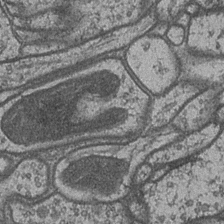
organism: Drosophila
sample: Optic medulla